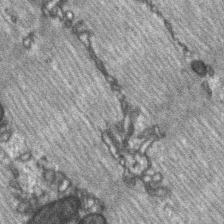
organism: C57BL Mouse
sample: Soleus